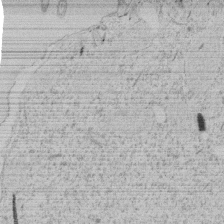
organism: Tetrahymena